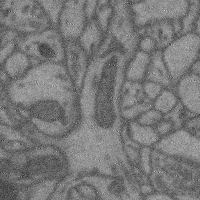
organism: Mouse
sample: Cerebral cortex